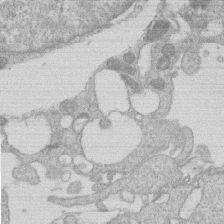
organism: Human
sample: Macrophage cells